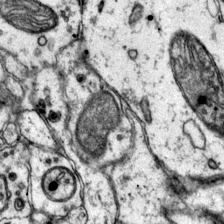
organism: Mouse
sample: Primary visual cortex